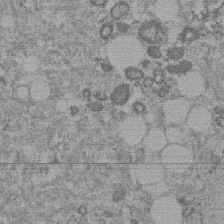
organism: Mouse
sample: Dividing mouse embryo 1 cell stage